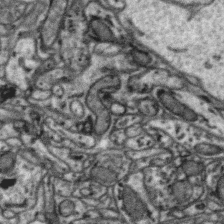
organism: Zebra finch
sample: Brain